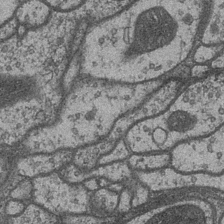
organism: Drosophila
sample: Optic medulla